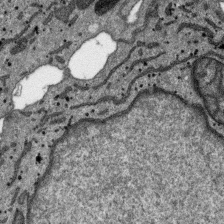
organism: Human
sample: Lung epithelial cells, uninfected (mock) control